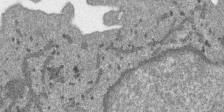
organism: Human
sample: Lung epithelial cells infected with SARS-CoV-2